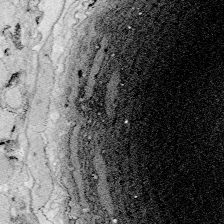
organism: Zebrafish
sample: Whole-Brain